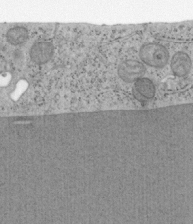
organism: Human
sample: HeLa cells